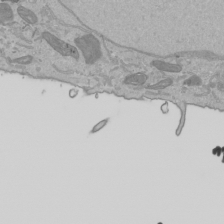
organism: Human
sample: Mitochondria in HCT116 cells